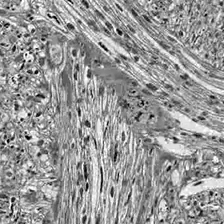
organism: Drosophila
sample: Optic lobe